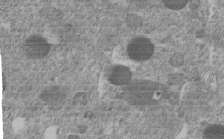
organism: C. elegans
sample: C. elegans embryo early stage